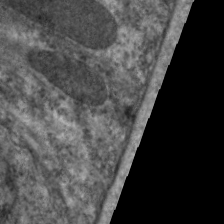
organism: C. elegans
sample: Pharynx